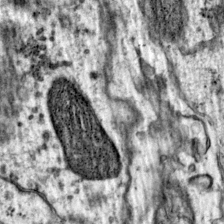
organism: Mouse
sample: Primary visual cortex